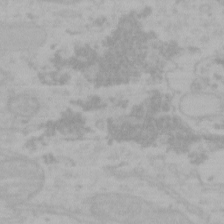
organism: Mouse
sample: Choroid plexus